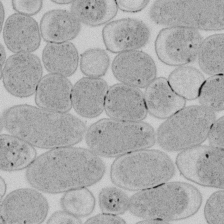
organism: E. coli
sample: Bacterial nucleoid